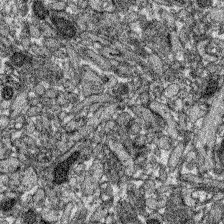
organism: Zebrafish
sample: Larval olfactory bulb